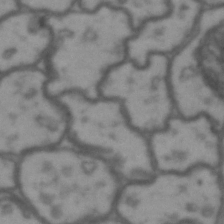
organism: Drosophila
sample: Brain